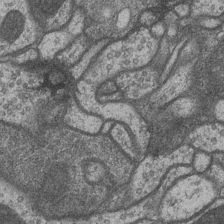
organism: Drosophila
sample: Optic medulla